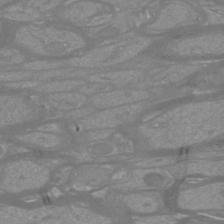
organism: Mouse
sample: Cortical neurons